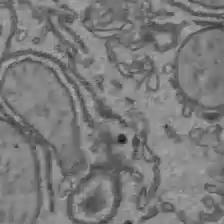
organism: C57BL Mouse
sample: Liver